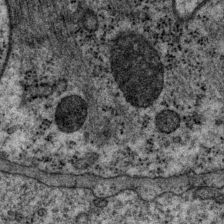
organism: P. pacificus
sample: Pharynx